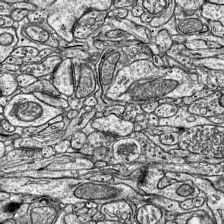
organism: Mouse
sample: Visual Cortex